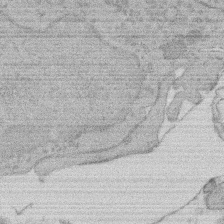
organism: Rat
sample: Salivary granule